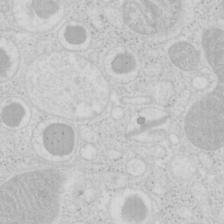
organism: Mouse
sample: Pancreas